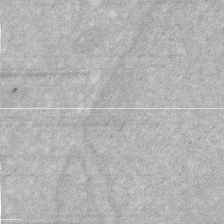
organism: Human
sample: HIV infected U937 cells